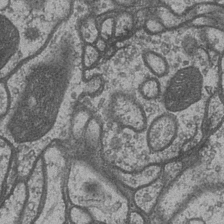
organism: Drosophila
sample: Optic medulla